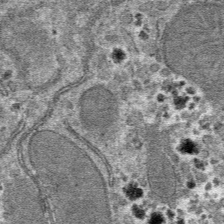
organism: Mouse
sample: Mouse hepatocytes